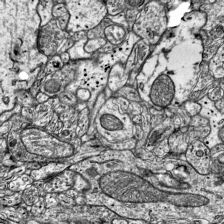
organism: Mouse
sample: Visual Cortex